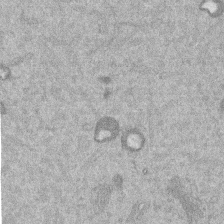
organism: Mouse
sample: Dividing mouse embryo 1 cell stage